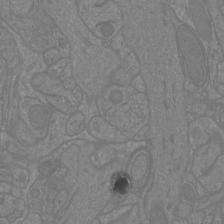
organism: Mouse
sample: Cortical neurons